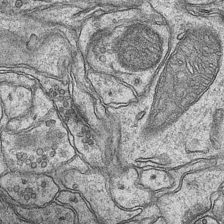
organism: Mouse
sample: CA1 Hippocampus